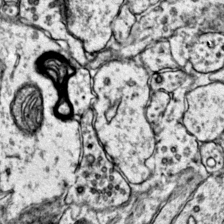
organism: Mouse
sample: Primary visual cortex